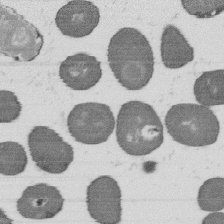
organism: B. subtilis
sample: Bacterial spore